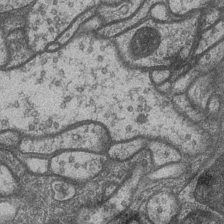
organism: Drosophila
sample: Optic medulla